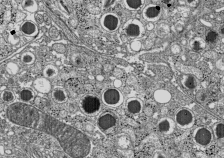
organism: C57BL Mouse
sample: Pancreatic islet